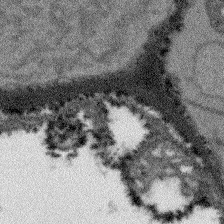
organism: Arabidopsis thaliana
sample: Root tip